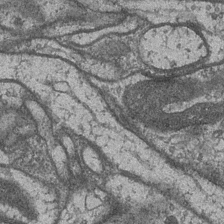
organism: Drosophila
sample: Optic medulla